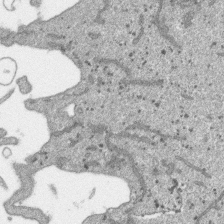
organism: Human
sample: Lung epithelial cells infected with SARS-CoV-2